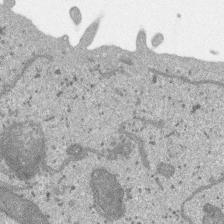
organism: Human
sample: Lung epithelial cells infected with SARS-CoV-2